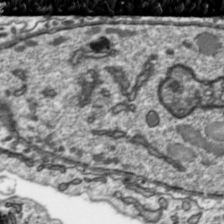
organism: Toxoplasma gondii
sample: Parasites in a vacuole inside a host cell